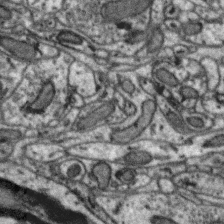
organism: Zebra finch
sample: Brain